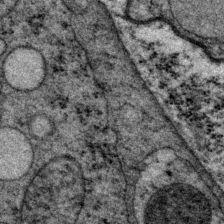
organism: P. pacificus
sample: Pharynx